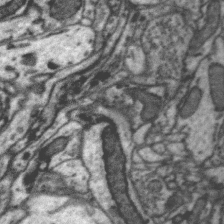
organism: Zebra finch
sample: Brain